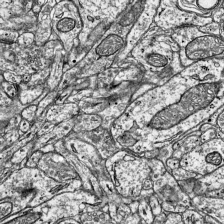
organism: Mouse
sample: Visual Cortex